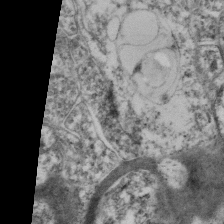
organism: Mouse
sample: Neocortex